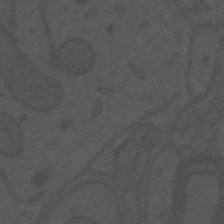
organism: Mouse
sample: Suprachiasmatic nucleus